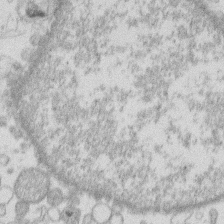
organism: Human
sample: Macrophage cells